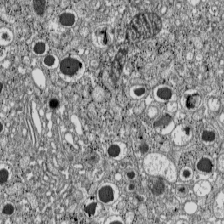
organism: C57BL Mouse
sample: Pancreatic islet